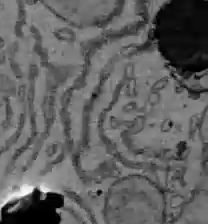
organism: C57BL Mouse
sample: Liver